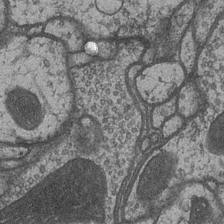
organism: Drosophila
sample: Optic medulla